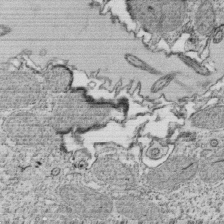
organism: Tetrahymena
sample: Cilia in tetrahymena